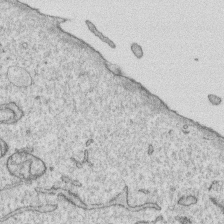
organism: Human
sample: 1205lu cells